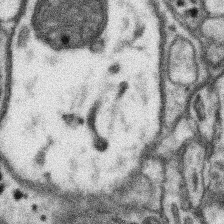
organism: Mouse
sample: Somatosensory cortex neuropil